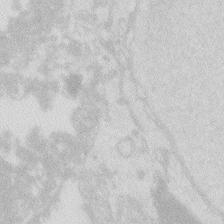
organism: Zebrafish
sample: Macrophage